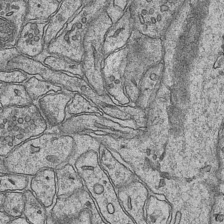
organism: Mouse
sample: CA1 Hippocampus